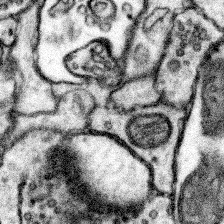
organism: Mouse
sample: Somatosensory cortex neuropil